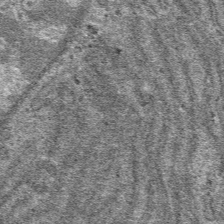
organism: Mouse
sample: Mouse hepatocytes